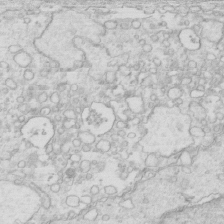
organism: Mouse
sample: Multiciliated cells